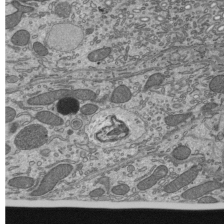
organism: Mouse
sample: Mouse epididymis efferent ductule cilia